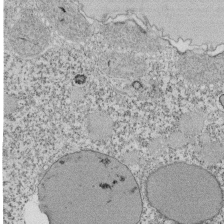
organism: Tetrahymena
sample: Cilia in tetrahymena